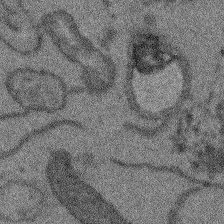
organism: Arabidopsis thaliana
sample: Root tip